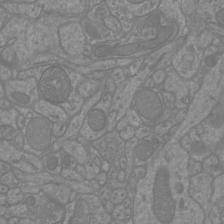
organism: Mouse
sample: Cortical neurons